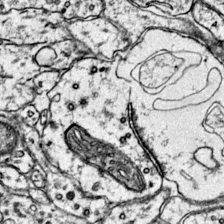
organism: Mouse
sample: Primary visual cortex